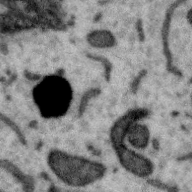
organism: Zebra finch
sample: Brain